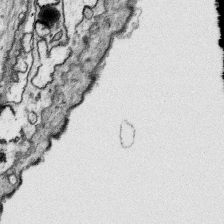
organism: Platynereis dumerilii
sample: Parapodia